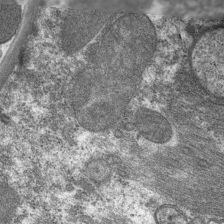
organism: C. elegans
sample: Pharynx